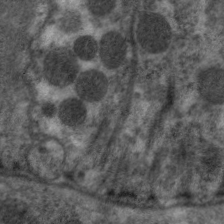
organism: C. elegans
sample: Pharynx